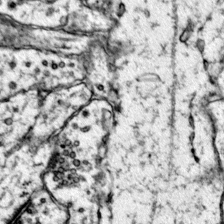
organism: Mouse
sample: Primary visual cortex